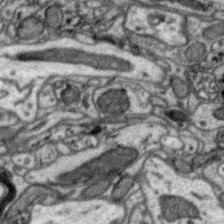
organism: Zebra finch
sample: Brain